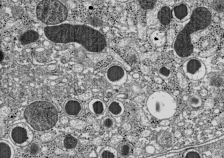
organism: C57BL Mouse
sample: Pancreatic islet